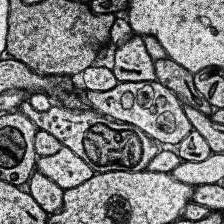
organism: Human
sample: Temporal Lobe